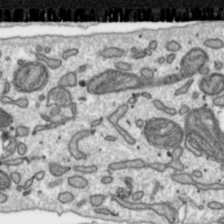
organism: Toxoplasma gondii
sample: Parasites in a vacuole inside a host cell